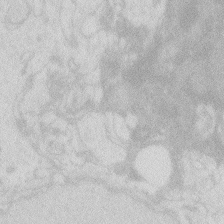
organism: Zebrafish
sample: Macrophage